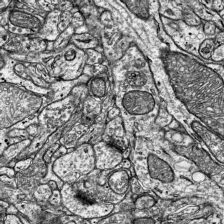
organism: Mouse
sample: Visual Cortex